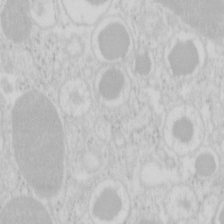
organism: Mouse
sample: Pancreas